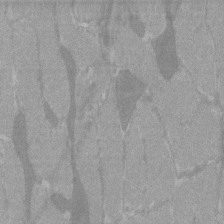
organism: C57BL Mouse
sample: Tibialis anterior muscle cell